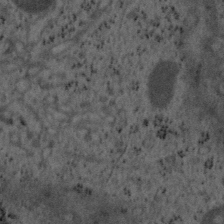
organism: Human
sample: HeLa cells